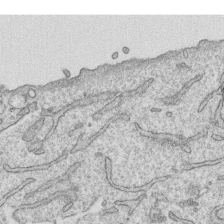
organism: Human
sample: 1205lu cells